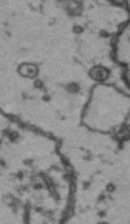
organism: Drosophila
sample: Brain